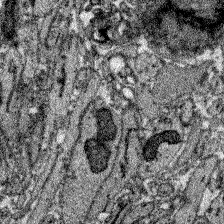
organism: Zebrafish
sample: Larval olfactory bulb